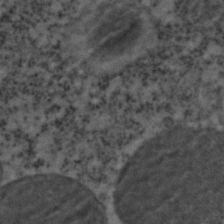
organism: C. elegans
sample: C. elegans embryo